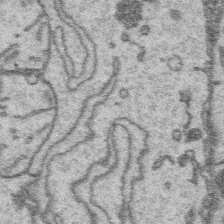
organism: Platynereis dumerilii